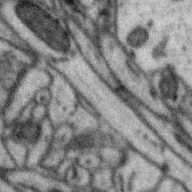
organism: Zebra finch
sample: Brain